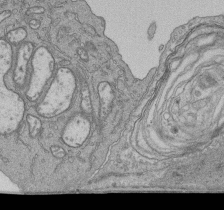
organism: Human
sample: Retinal organoid Rod and Cone cells